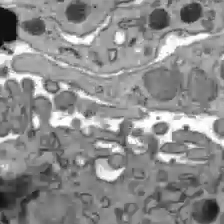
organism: C57BL Mouse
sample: Liver